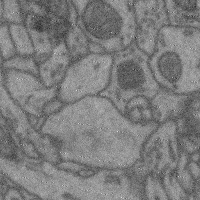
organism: Mouse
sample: Cerebral cortex